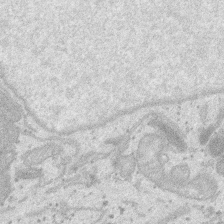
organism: Human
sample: Lung epithelial cells infected with SARS-CoV-2